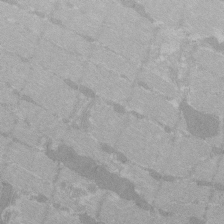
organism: C57BL Mouse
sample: Tibialis anterior muscle cell